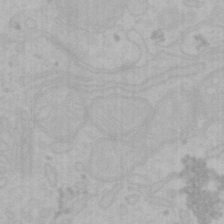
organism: Mouse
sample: Choroid plexus